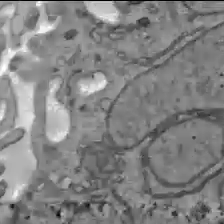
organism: C57BL Mouse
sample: Liver